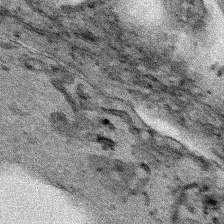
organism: Human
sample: Mitochondria in HCT116 cells